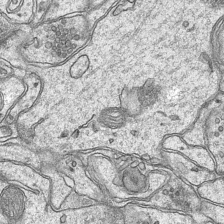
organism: Mouse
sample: CA1 Hippocampus